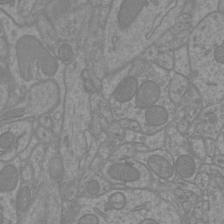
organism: Mouse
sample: Cortical neurons